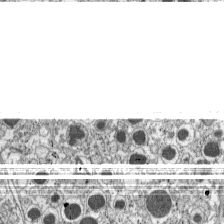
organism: C57BL Mouse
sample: Pancreatic islet